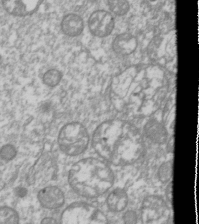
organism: Drosophila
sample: Cell division; meiosis; drosophila spermatocytes